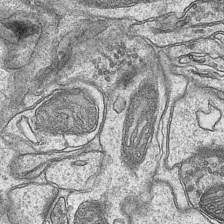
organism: Mouse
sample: CA1 Hippocampus